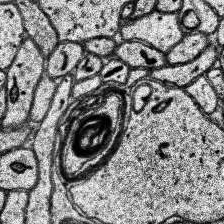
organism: Human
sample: Temporal Lobe